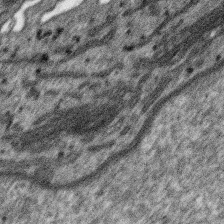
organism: Human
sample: Lung epithelial cells infected with SARS-CoV-2